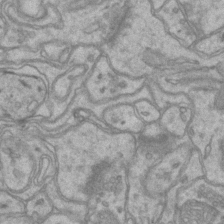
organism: Mouse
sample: CA1 Hippocampus